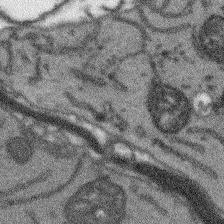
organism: Arabidopsis thaliana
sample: Root tip